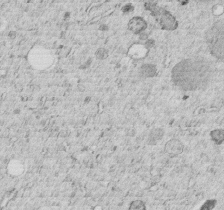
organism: C. elegans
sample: C. elegans embryo early stage